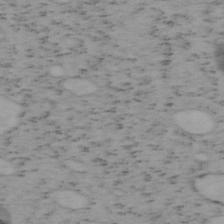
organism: Mouse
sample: OT-I killer T cells with ID8 ovarian cancer cells